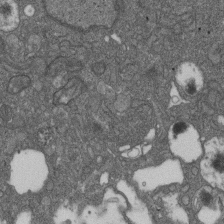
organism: Drosophila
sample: Nephrocyte